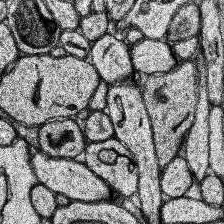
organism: Human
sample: Temporal Lobe